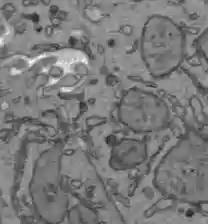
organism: C57BL Mouse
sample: Liver